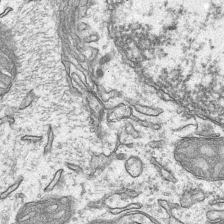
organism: Mouse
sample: CA1 Hippocampus